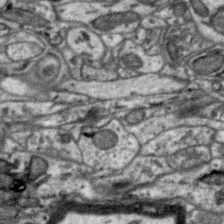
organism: Zebra finch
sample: Brain